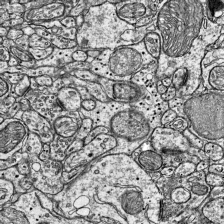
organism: Mouse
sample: Visual Cortex